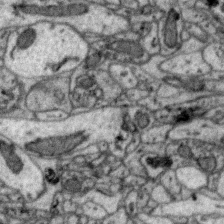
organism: Zebra finch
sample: Brain